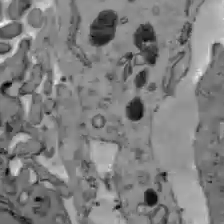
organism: C57BL Mouse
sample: Liver